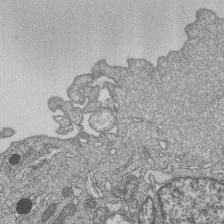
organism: Human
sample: MDA-MB-231 cells